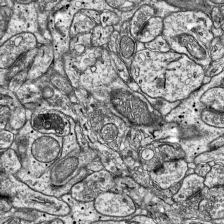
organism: Mouse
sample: Visual Cortex